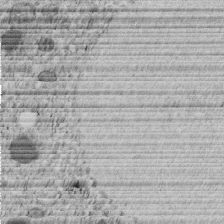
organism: C. elegans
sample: C. elegans embryo early stage